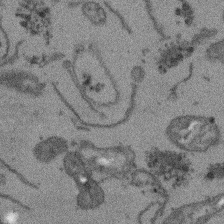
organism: Arabidopsis thaliana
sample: Root tip